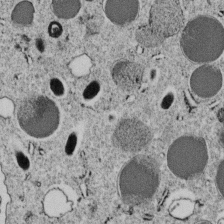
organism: C. elegans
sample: C. elegans embryo early stage